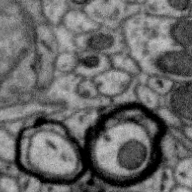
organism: Zebra finch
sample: Brain